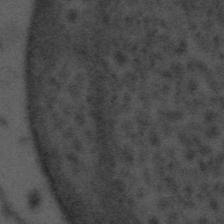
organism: Tuwongella immobilis